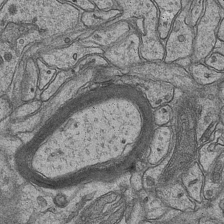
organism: Mouse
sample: CA1 Hippocampus